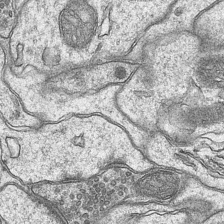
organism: Mouse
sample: CA1 Hippocampus